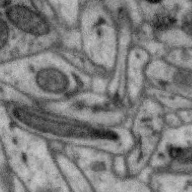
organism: Zebra finch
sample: Brain